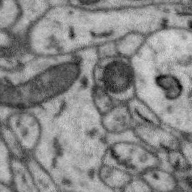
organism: Zebra finch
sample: Brain